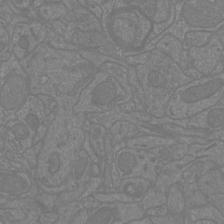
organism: Mouse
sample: Cortical neurons